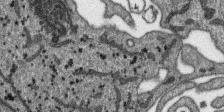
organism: Human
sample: Lung epithelial cells infected with SARS-CoV-2